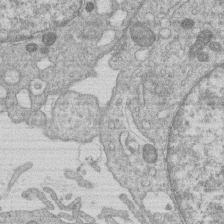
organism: Human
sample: Macrophage cells